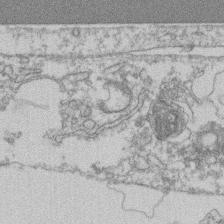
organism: Mouse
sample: T cell stromal cell synapse